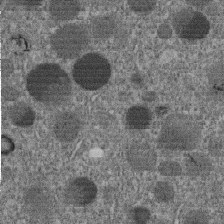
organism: C. elegans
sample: C. elegans embryo early stage